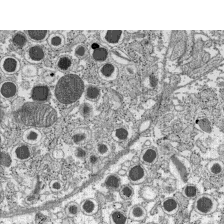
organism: C57BL Mouse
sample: Pancreatic islet